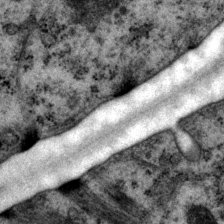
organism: P. pacificus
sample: Pharynx